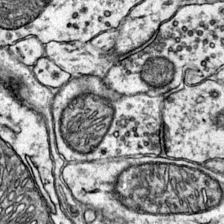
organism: Mouse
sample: Primary visual cortex